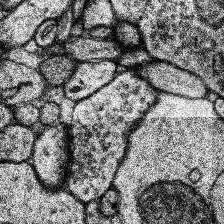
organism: Human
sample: Temporal Lobe